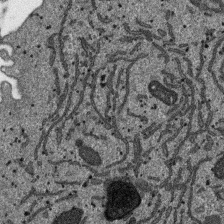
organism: Human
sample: Lung epithelial cells infected with SARS-CoV-2